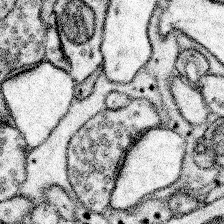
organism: Mouse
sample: Somatosensory cortex neuropil